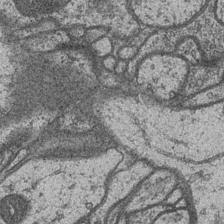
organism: Drosophila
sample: Optic medulla